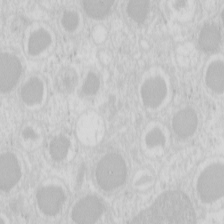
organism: Mouse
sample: Pancreas